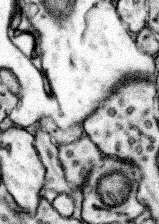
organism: Mouse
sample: Somatosensory cortex neuropil